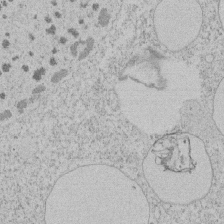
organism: Tetrahymena